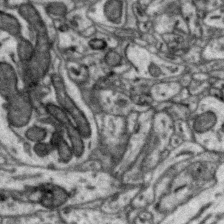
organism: Zebra finch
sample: Brain